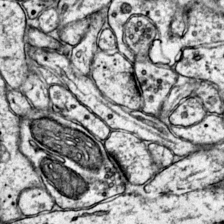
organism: Mouse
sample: Primary visual cortex